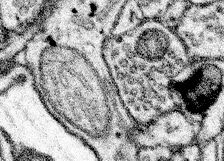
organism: Mouse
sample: Somatosensory cortex neuropil